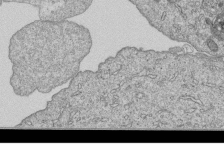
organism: Human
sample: MDA-MB-231 cells